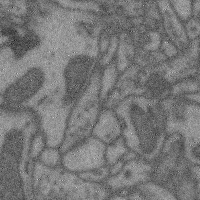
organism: Mouse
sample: Cerebral cortex